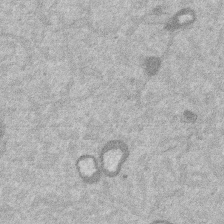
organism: Mouse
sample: Dividing mouse embryo 1 cell stage